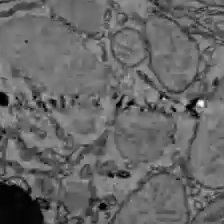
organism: C57BL Mouse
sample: Liver